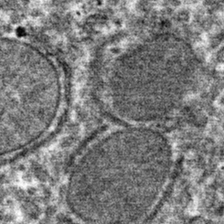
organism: Mouse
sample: Mouse hepatocytes